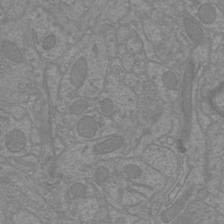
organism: Mouse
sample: Cortical neurons